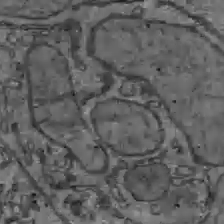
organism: C57BL Mouse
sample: Liver